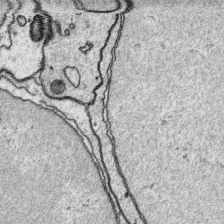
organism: Platynereis dumerilii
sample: Parapodia